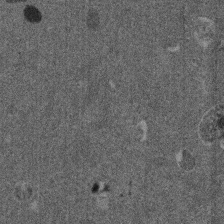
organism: Mouse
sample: Dividing mouse embryo 1 cell stage